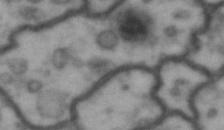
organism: Drosophila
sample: Brain